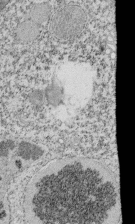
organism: Tetrahymena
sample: Cilia in tetrahymena